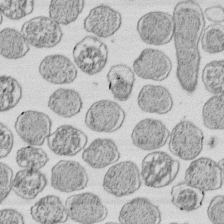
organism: E. coli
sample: Bacterial nucleoid